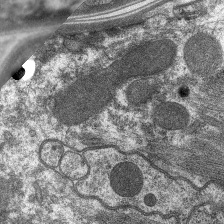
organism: C. elegans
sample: Pharynx